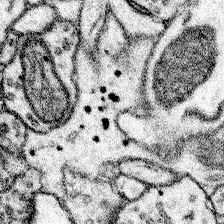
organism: Mouse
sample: Somatosensory cortex neuropil